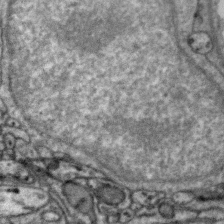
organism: Zebra finch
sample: Brain